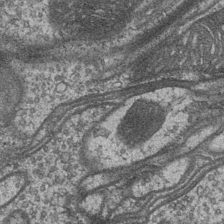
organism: Drosophila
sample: Optic medulla